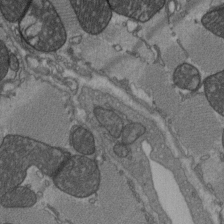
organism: C57BL Mouse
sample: Heart